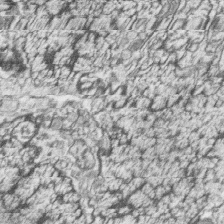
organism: Zebrafish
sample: synaptic ribbons in rod cells and cone cells